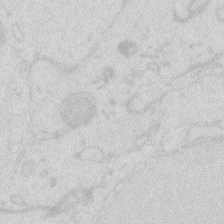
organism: Zebrafish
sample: Macrophage